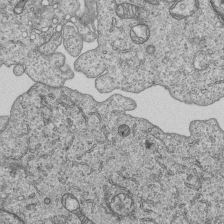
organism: Human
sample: MDA-MB-231 cells